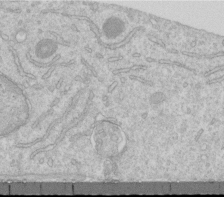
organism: Human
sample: Centriole in RPE cells